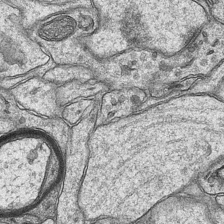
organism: Mouse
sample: CA1 Hippocampus